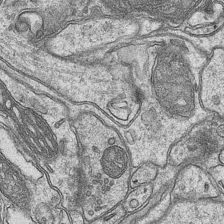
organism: Mouse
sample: CA1 Hippocampus